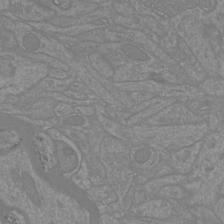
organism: Mouse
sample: Cortical neurons